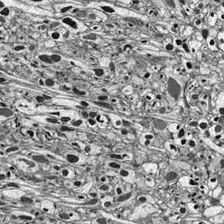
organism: Drosophila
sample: Optic lobe